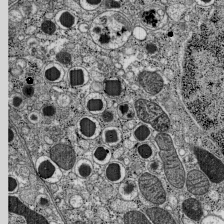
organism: C57BL Mouse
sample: Pancreatic islet